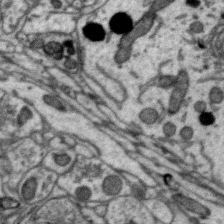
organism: Zebra finch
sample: Brain